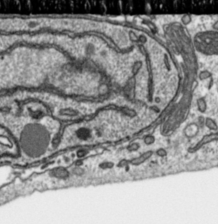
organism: Toxoplasma gondii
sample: Parasites in a vacuole inside a host cell